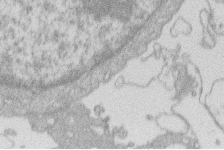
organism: Human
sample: Macrophage cells